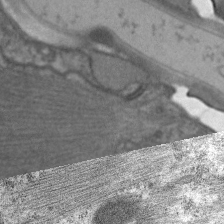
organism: C. elegans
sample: Pharynx